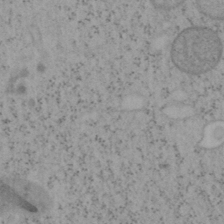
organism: Mouse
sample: OT-I killer T cells with ID8 ovarian cancer cells